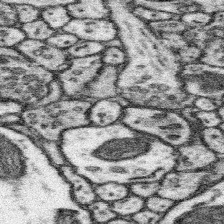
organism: Mouse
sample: Somatosensory cortex neuropil